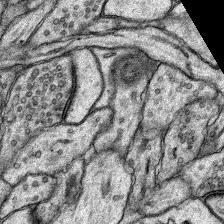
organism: Rat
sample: Hippocampus